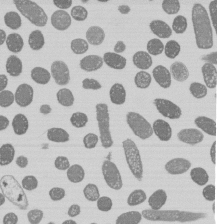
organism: E. coli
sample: Bacterial nucleoid